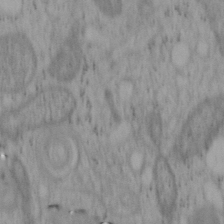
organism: Mouse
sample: OT-I killer T cells with ID8 ovarian cancer cells